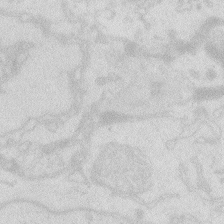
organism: Zebrafish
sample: Macrophage